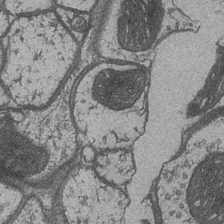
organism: Drosophila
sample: Optic medulla